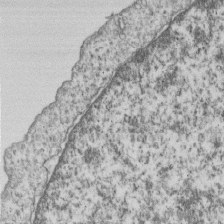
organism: Human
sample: MDA-MB-231 cells